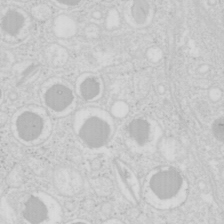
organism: Mouse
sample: Pancreas